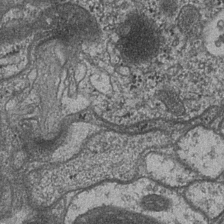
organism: Drosophila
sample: Optic medulla